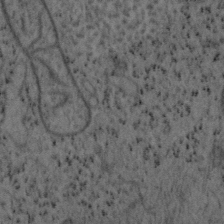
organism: Human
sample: HeLa cells